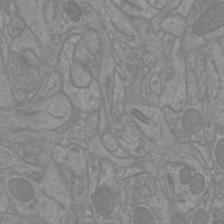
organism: Mouse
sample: Cortical neurons